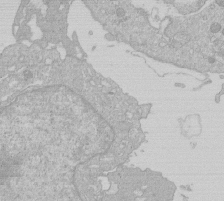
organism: Human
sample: Macrophage cells